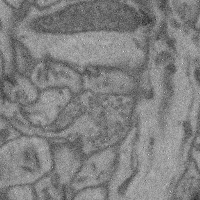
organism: Mouse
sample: Cerebral cortex